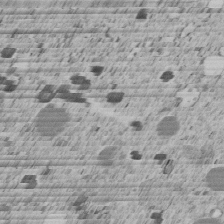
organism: C. elegans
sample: C. elegans embryo early stage